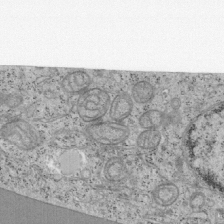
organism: Human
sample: HeLa cells